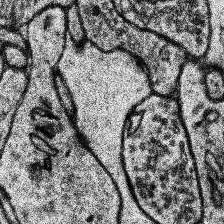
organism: Human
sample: Temporal Lobe